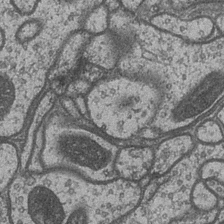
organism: Drosophila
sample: Optic medulla